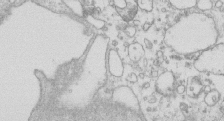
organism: Mouse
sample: Macrophages